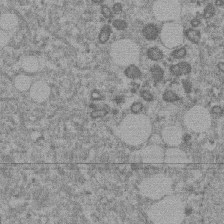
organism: Mouse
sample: Dividing mouse embryo 1 cell stage